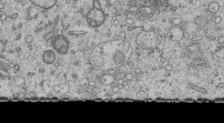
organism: Human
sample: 1205lu cells